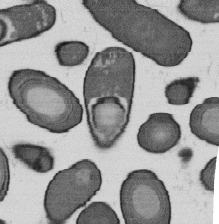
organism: B. subtilis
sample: Bacterial spore